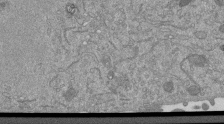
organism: Mouse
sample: ED-1 cell nuclei; centrioles